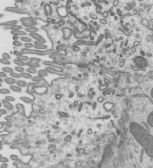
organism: Mouse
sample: Mouse epididymis efferent ductule cilia